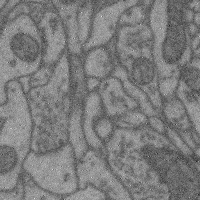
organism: Mouse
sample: Cerebral cortex